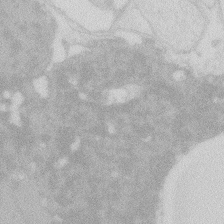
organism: Zebrafish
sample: Macrophage